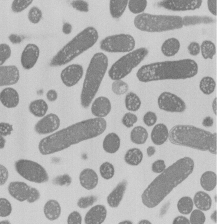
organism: E. coli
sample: Bacterial nucleoid